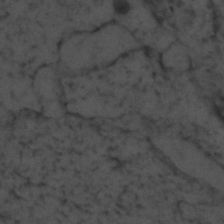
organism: Zebrafish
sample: Zebrafish embryo